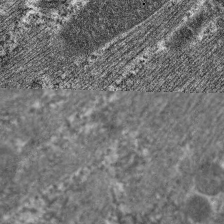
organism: C. elegans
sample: Pharynx